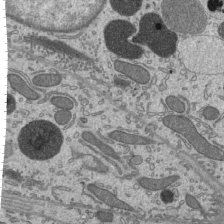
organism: Mouse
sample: Mouse epididymis efferent ductule cilia